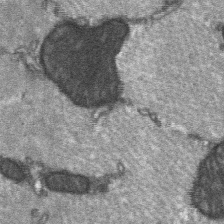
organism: C57BL Mouse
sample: Soleus